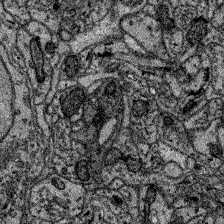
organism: Zebrafish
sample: Larval olfactory bulb